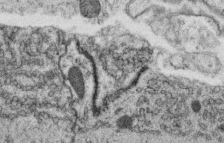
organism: C. elegans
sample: C. elegans oocyte; sperm cells